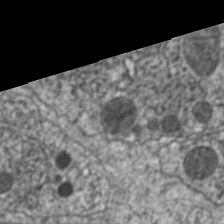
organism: C. elegans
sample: Pharynx